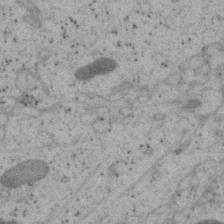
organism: Human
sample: HeLa cells